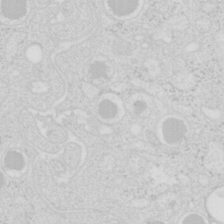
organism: Mouse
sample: Pancreas